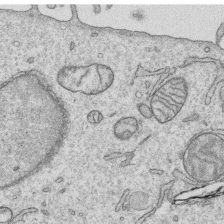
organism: Human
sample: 1205lu cells